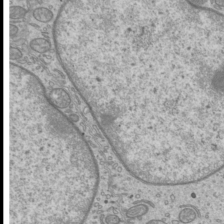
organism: Mouse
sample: Cilia; mouse epididymis